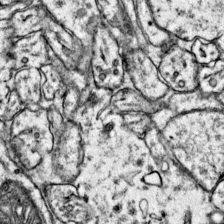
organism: Mouse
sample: Primary visual cortex